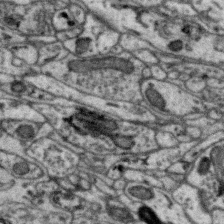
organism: Zebra finch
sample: Brain